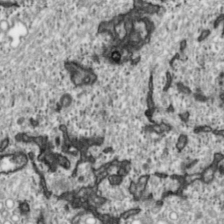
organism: Toxoplasma gondii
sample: Parasites in a vacuole inside a host cell